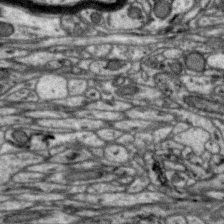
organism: Zebra finch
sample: Brain